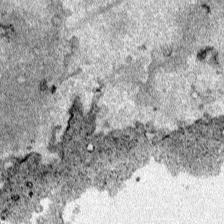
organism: Human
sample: Mitochondria in HCT116 cells